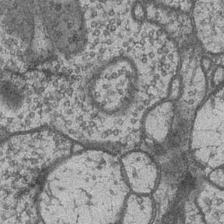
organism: Drosophila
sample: Optic medulla